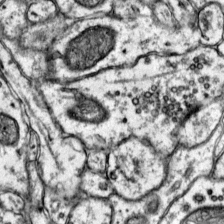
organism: Mouse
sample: Primary visual cortex